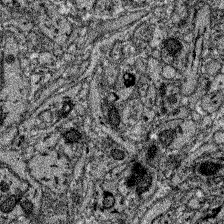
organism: Zebrafish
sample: Larval olfactory bulb